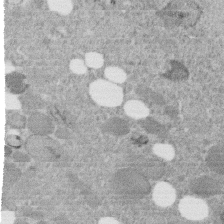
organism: C. elegans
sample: C. elegans embryo early stage